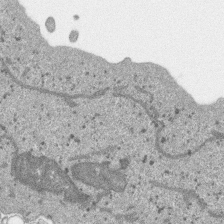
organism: Human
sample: Lung epithelial cells infected with SARS-CoV-2